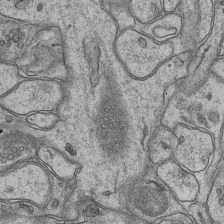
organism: Mouse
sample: CA1 Hippocampus